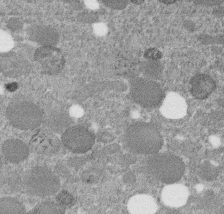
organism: C. elegans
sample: C. elegans embryo early stage